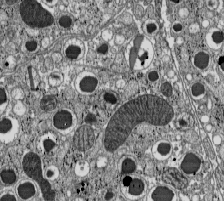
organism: C57BL Mouse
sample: Pancreatic islet